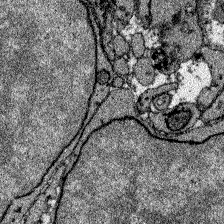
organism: Zebrafish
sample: Larval olfactory bulb